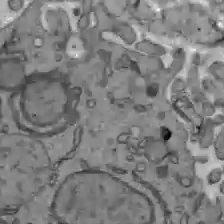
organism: C57BL Mouse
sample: Liver